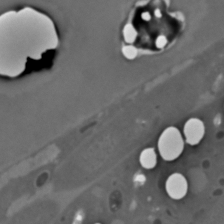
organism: C. elegans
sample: C. elegans embryo